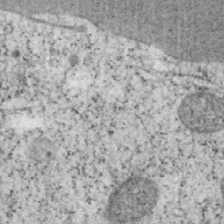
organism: Mouse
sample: OT-I killer T cells with ID8 ovarian cancer cells